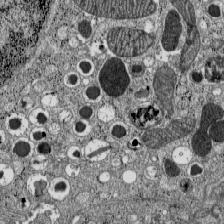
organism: C57BL Mouse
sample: Pancreatic islet